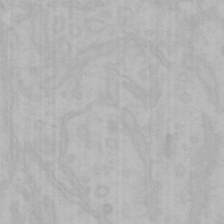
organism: Mouse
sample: Choroid plexus